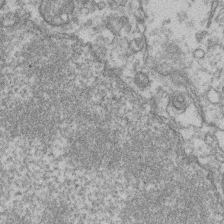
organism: Mouse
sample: T cell stromal cell synapse